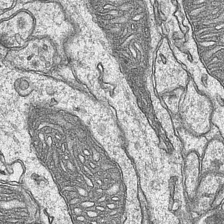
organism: Mouse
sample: CA1 Hippocampus